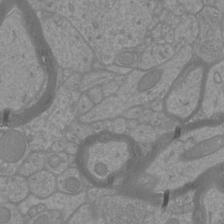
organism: Mouse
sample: Cortical neurons